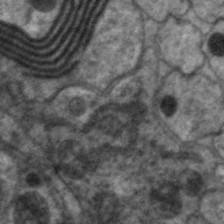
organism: C. elegans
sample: Pharynx